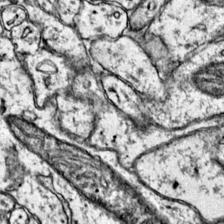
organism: Mouse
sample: Primary visual cortex